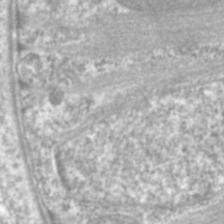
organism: C. elegans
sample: Pharynx